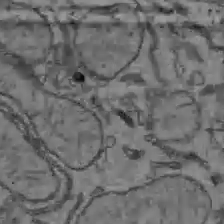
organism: C57BL Mouse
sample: Liver